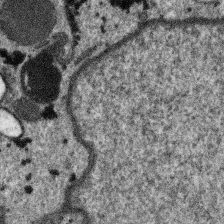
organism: Human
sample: Lung epithelial cells infected with SARS-CoV-2